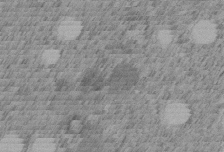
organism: C. elegans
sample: C. elegans embryo early stage